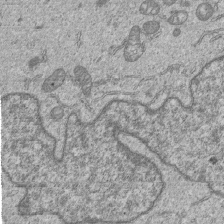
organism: Human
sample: MDA-MB-231 cells